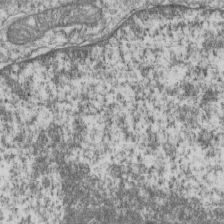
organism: Human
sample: MDA-MB-231 cells